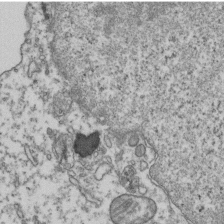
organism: Human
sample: Activated Jurkat CD4+ T cells